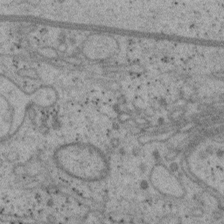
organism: Human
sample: HeLa cells